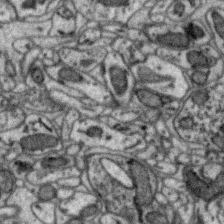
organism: Zebra finch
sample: Brain